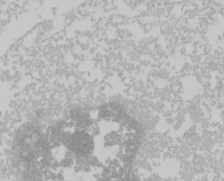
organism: Mouse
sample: Cancer cell death in ED-1 cells